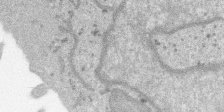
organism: Human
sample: Lung epithelial cells infected with SARS-CoV-2